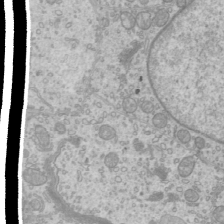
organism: Mouse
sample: Cilia; mouse epididymis